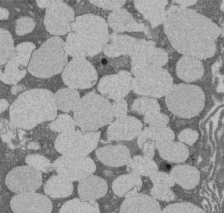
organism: Rat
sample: Salivary granule